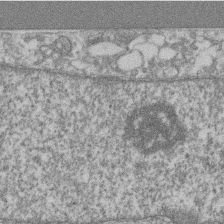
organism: Mouse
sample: T cell stromal cell synapse